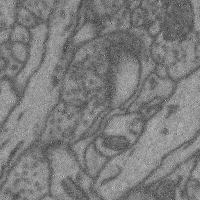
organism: Mouse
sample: Cerebral cortex